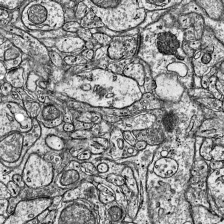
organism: Mouse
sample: Visual Cortex